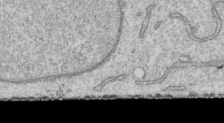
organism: Human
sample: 1205lu cells